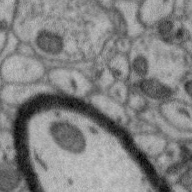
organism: Zebra finch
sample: Brain